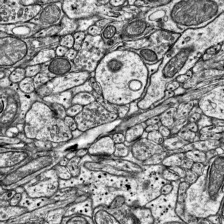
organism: Mouse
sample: Visual Cortex